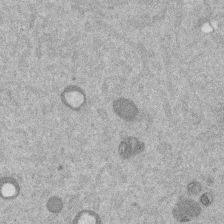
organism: Mouse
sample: Dividing mouse embryo 1 cell stage